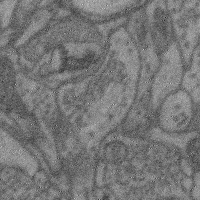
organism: Mouse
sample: Cerebral cortex